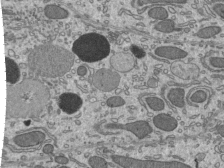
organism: Mouse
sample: Mouse epididymis efferent ductule cilia